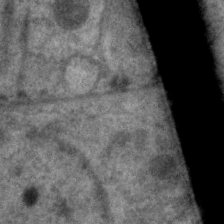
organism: C. elegans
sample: Pharynx